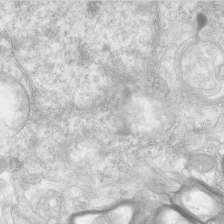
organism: Human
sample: Neocortex